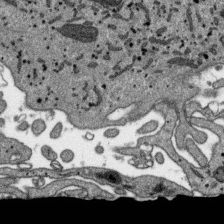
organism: Human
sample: Lung epithelial cells, uninfected (mock) control